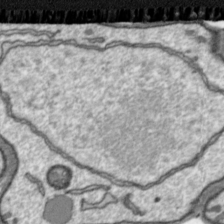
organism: Toxoplasma gondii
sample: Parasites in a vacuole inside a host cell